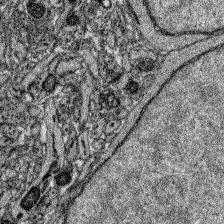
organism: Zebrafish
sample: Larval olfactory bulb